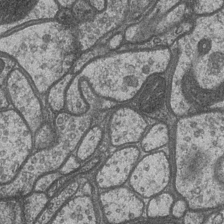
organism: Drosophila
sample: Optic medulla